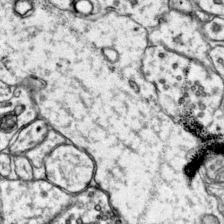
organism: Mouse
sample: Primary visual cortex